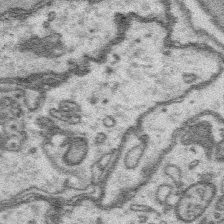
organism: Platynereis dumerilii